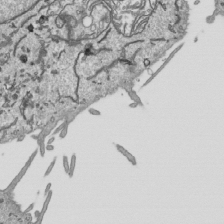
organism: Human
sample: Mitochondria in HCT116 cells